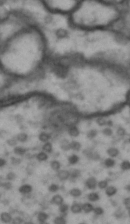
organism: Drosophila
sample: Brain